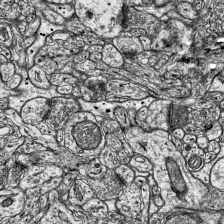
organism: Mouse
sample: Visual Cortex